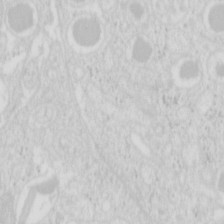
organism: Mouse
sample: Pancreas